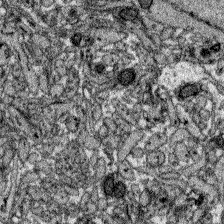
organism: Zebrafish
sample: Larval olfactory bulb